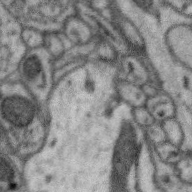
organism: Zebra finch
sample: Brain